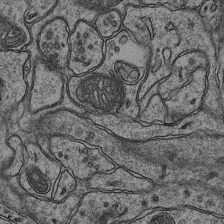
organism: Mouse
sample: CA1 Hippocampus